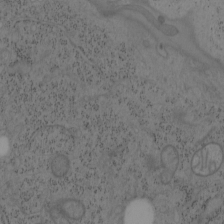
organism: Mouse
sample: OT-I killer T cells with ID8 ovarian cancer cells